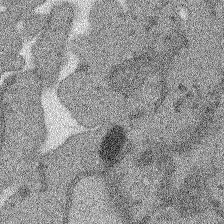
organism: Human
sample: HeLa cells